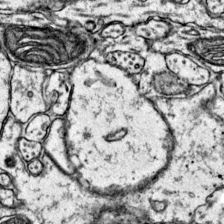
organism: Mouse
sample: Primary visual cortex